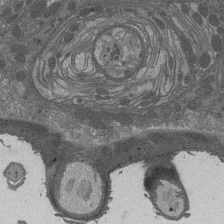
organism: Drosophila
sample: Antenna